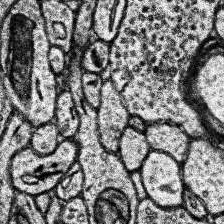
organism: Human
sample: Temporal Lobe